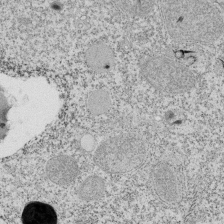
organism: Tetrahymena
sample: Cilia in tetrahymena